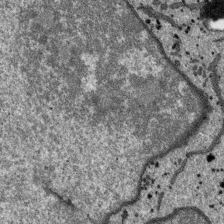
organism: Human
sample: Lung epithelial cells, uninfected (mock) control